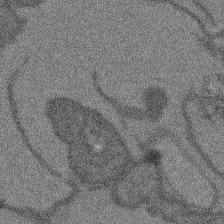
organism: Arabidopsis thaliana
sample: Root tip